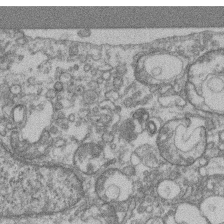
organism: Mouse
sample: T cell stromal cell synapse